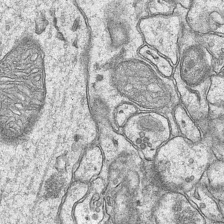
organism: Mouse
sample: CA1 Hippocampus